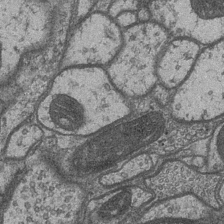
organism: Drosophila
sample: Optic medulla